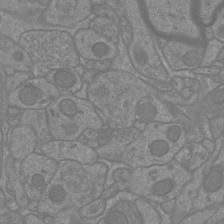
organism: Mouse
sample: Cortical neurons